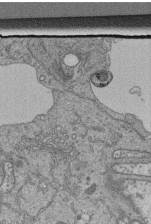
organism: Human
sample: Retinal organoid Rod and Cone cells